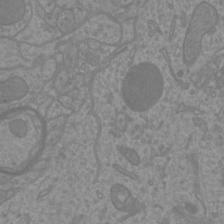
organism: Mouse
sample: Cortical neurons